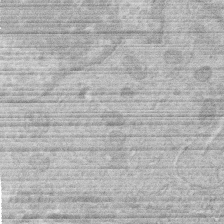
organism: Human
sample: Macrophage cells